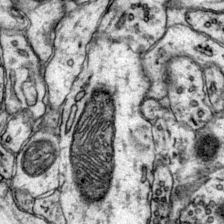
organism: Mouse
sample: Primary visual cortex